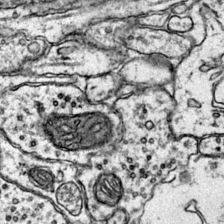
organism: Mouse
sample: Primary visual cortex